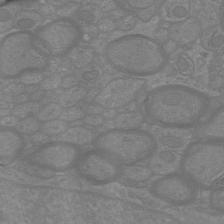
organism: Mouse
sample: Cortical neurons